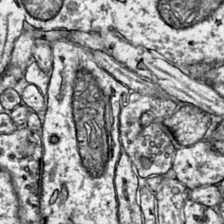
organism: Mouse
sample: Primary visual cortex